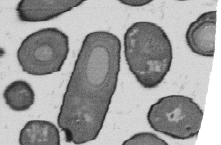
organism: B. subtilis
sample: Bacterial spore